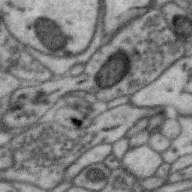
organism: Zebra finch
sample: Brain